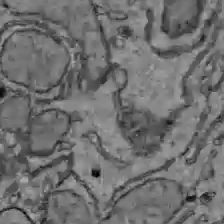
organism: C57BL Mouse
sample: Liver